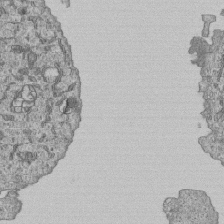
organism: Human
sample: MDA-MB-231 cells